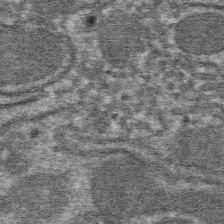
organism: Mouse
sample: Mouse hepatocytes